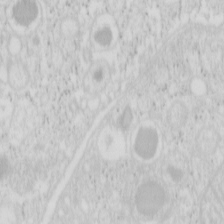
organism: Mouse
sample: Pancreas